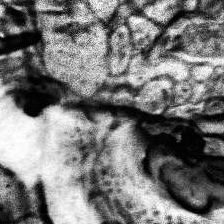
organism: Human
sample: Temporal Lobe